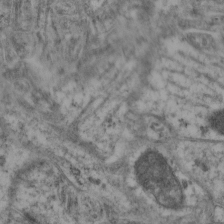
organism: Mouse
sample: Neocortex